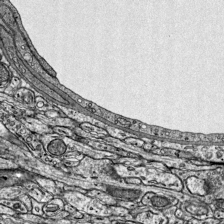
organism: Mouse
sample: Visual Cortex